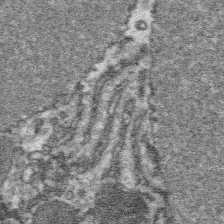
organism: Platynereis dumerilii